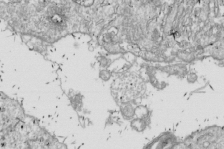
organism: Drosophila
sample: Cell division; meiosis; drosophila spermatocytes